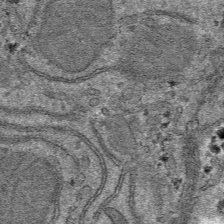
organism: Mouse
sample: Mouse hepatocytes